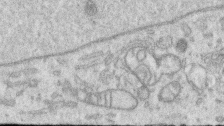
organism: Human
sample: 1205lu cells